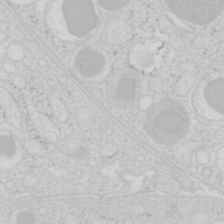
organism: Mouse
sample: Pancreas